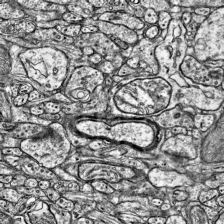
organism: Mouse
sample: Visual Cortex